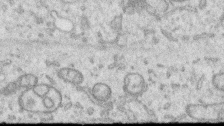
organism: Human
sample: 1205lu cells